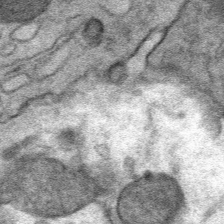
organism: Mouse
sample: Mouse Salivary gland